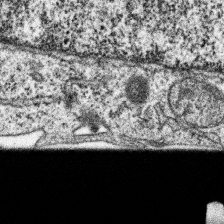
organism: Human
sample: HeLa cells